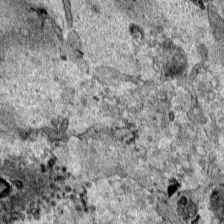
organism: Human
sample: Mitochondria in HCT116 cells